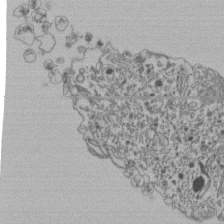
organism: Human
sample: Retinal organoid Rod and Cone cells